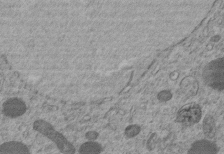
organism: C. elegans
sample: C. elegans embryo early stage